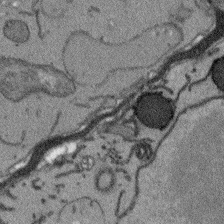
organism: Arabidopsis thaliana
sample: Root tip